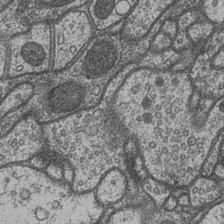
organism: Drosophila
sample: Optic medulla